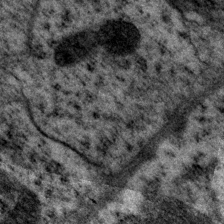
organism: P. pacificus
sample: Pharynx